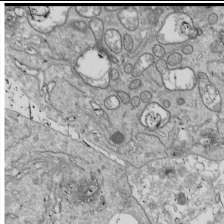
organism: Drosophila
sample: Cell division; meiosis; drosophila spermatocytes